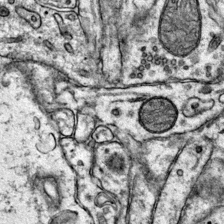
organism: Mouse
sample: Primary visual cortex